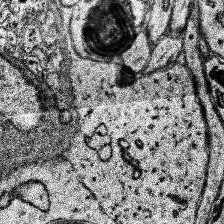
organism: Human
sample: Temporal Lobe